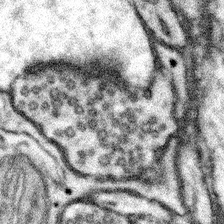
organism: Mouse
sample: Somatosensory cortex neuropil